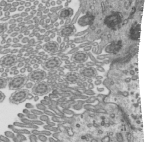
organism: Mouse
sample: Mouse epididymis efferent ductule cilia